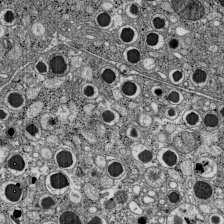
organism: C57BL Mouse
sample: Pancreatic islet